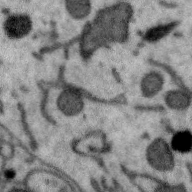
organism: Zebra finch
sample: Brain